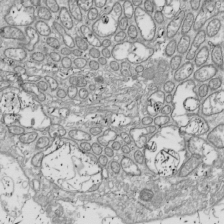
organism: Drosophila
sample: Cell division; meiosis; drosophila spermatocytes